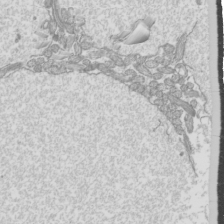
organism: Mouse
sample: Cilia; mouse epididymis